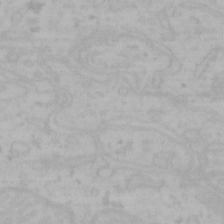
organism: Mouse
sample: Choroid plexus